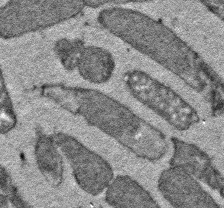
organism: E. coli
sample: E. Coli Bacteria